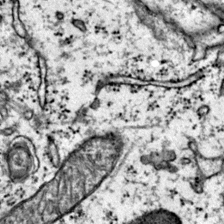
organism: Mouse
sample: Primary visual cortex